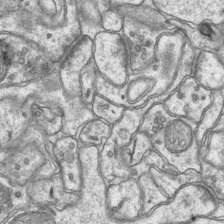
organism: Mouse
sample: CA1 Hippocampus